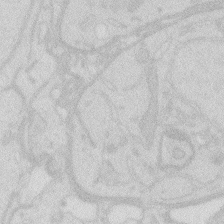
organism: Zebrafish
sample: Macrophage